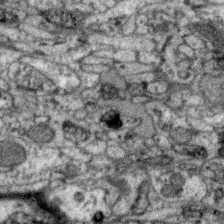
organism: Zebra finch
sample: Brain